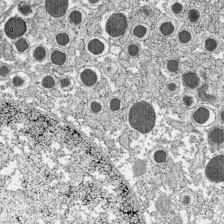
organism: C57BL Mouse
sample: Pancreatic islet